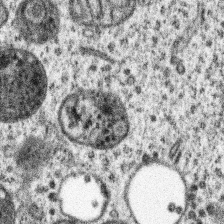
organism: Human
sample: HeLa cells